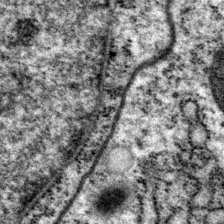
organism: P. pacificus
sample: Pharynx